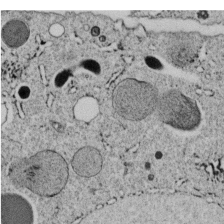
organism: C. elegans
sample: C. elegans embryo early stage